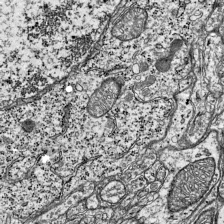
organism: Mouse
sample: Visual Cortex